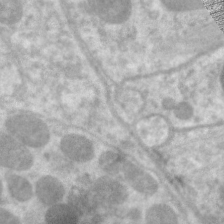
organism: C. elegans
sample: Pharynx